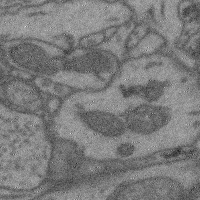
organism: Mouse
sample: Cerebral cortex